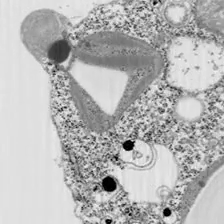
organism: Chlamydomonas reinhardtii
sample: Whole Cell